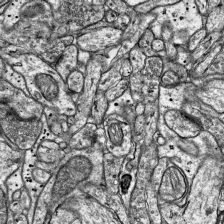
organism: Mouse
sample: Visual Cortex